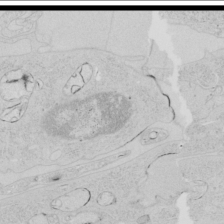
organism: Human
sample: Mitochondria in HCT116 cells